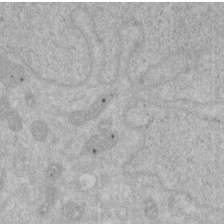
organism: Human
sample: HIV infected U937 cells